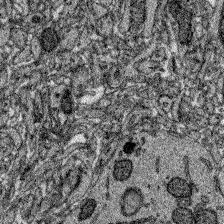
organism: Zebrafish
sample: Larval olfactory bulb